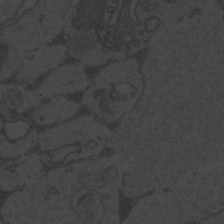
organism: Zebrafish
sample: Macrophage infected with Toxoplasma gondii